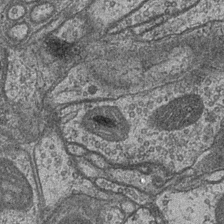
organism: Drosophila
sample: Optic medulla